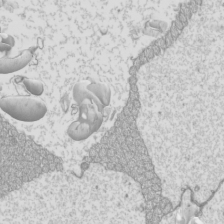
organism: Mouse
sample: Cilia; mouse epididymis